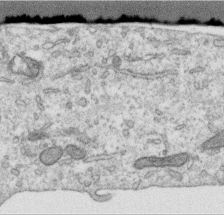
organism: Human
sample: Centriole in RPE cells